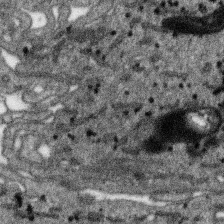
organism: Human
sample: Lung epithelial cells infected with SARS-CoV-2